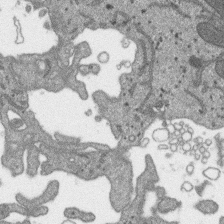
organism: Human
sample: Lung epithelial cells infected with SARS-CoV-2